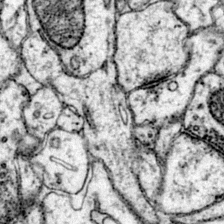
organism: Mouse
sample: Primary visual cortex